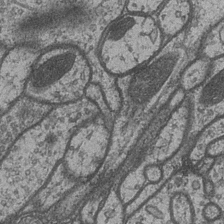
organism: Drosophila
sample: Optic medulla